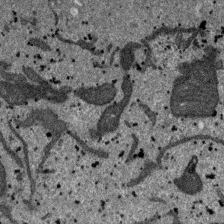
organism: Human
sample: Lung epithelial cells, uninfected (mock) control